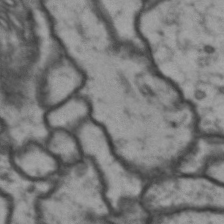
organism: Drosophila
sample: Brain